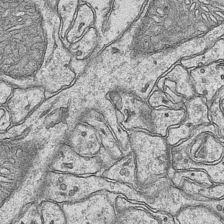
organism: Mouse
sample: CA1 Hippocampus